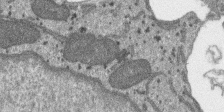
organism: Human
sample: Lung epithelial cells infected with SARS-CoV-2